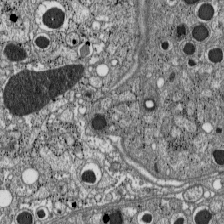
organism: C57BL Mouse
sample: Pancreatic islet